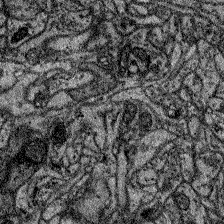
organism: Zebrafish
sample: Larval olfactory bulb